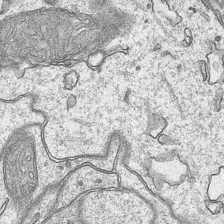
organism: Mouse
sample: CA1 Hippocampus